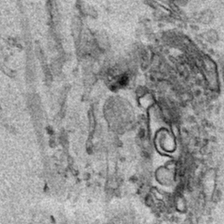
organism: Human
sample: Mitochondria in HCT116 cells